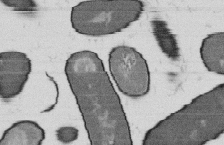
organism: B. subtilis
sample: Bacterial spore